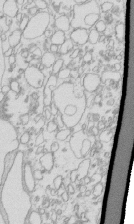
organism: Mouse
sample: Macrophages